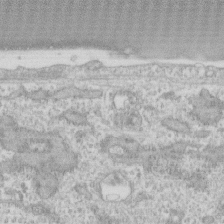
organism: Human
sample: CRL-1474